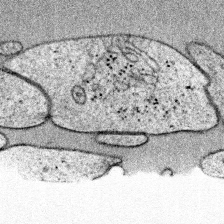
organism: Human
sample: HeLa cells